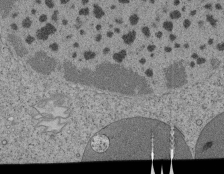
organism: Tetrahymena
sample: Cilia in tetrahymena